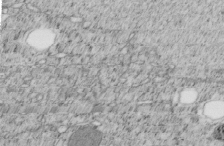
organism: C. elegans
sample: C. elegans embryo early stage